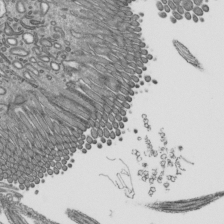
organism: Mouse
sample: Mouse epididymis efferent ductule cilia